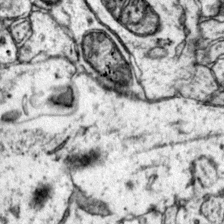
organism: Mouse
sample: Primary visual cortex